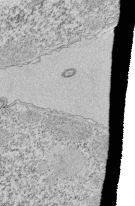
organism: Tetrahymena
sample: Cilia in tetrahymena